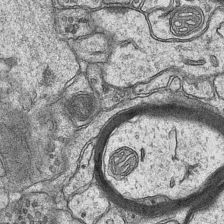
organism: Mouse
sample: CA1 Hippocampus